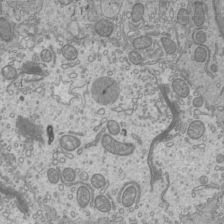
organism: Mouse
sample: Cilia; mouse epididymis